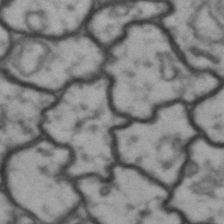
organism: Drosophila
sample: Brain